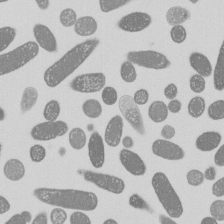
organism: E. coli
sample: Bacterial nucleoid